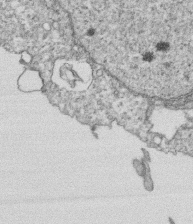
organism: Human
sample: HeLa cell HIV synapse